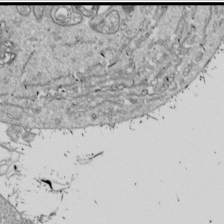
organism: Drosophila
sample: Cell division; meiosis; drosophila spermatocytes